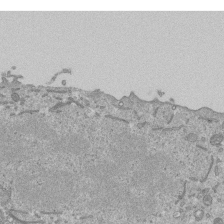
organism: Mouse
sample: ED-1 cell nuclei; centrioles